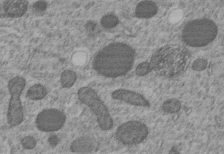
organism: C. elegans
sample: C. elegans embryo early stage